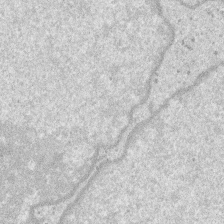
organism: Human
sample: Lung epithelial cells infected with SARS-CoV-2